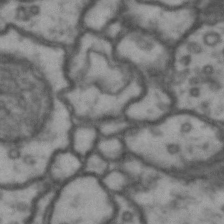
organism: Drosophila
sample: Brain